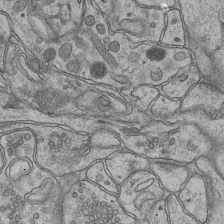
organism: Mouse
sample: CA1 Hippocampus